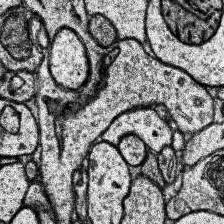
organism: Human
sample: Temporal Lobe